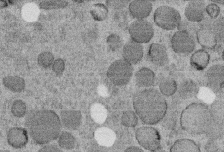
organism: C. elegans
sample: C. elegans embryo early stage